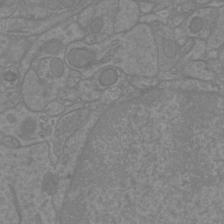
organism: Mouse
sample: Cortical neurons